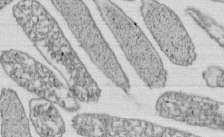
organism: E. coli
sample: Bacterial nucleoid